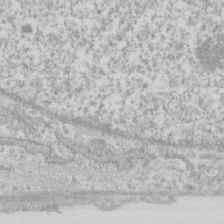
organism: Human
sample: Fibroblast cells